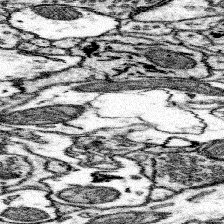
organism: Mouse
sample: Somatosensory cortex neuropil